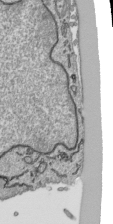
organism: Human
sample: Mitochondria in HCT116 cells